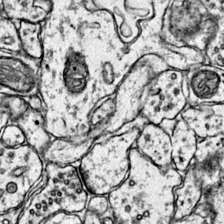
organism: Mouse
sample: Primary visual cortex